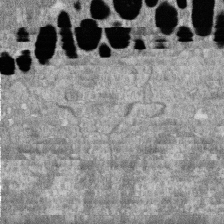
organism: Zebrafish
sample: Cilia; retinal pigment epithelium